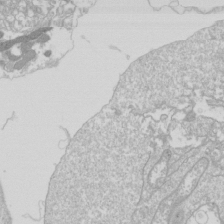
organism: Drosophila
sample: Cell division; meiosis; drosophila spermatocytes